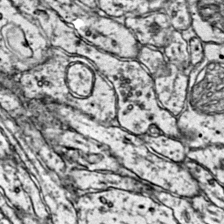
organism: Mouse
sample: Primary visual cortex